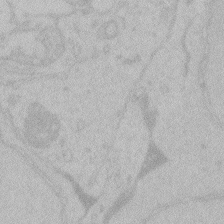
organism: Zebrafish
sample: Macrophage infected with Toxoplasma gondii